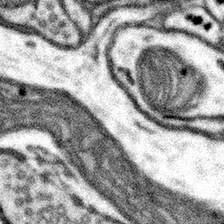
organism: Mouse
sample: Somatosensory cortex neuropil